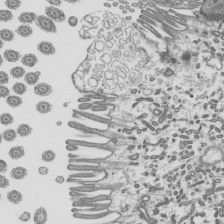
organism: Mouse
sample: Mouse epididymis efferent ductule cilia